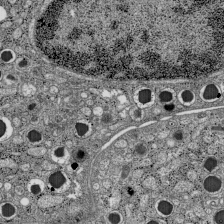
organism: C57BL Mouse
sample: Pancreatic islet